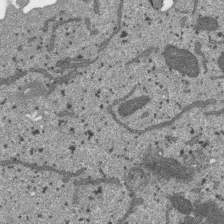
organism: Human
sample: Lung epithelial cells infected with SARS-CoV-2